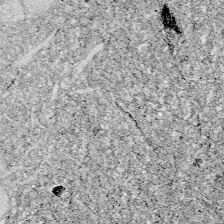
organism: Zebrafish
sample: Whole-Brain